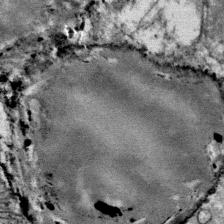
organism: Mouse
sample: Mouse Salivary gland